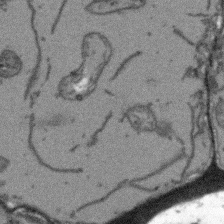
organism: Arabidopsis thaliana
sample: Root tip